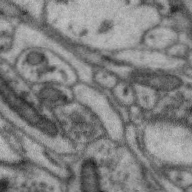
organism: Zebra finch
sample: Brain